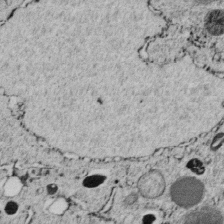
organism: C. elegans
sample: C. elegans embryo early stage